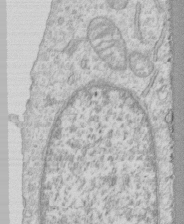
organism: Human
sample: CRL-1474